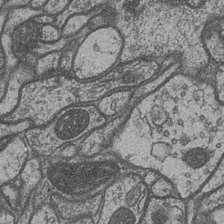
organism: Drosophila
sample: Optic medulla